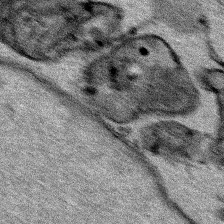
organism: Human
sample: Mitochondria in HCT116 cells